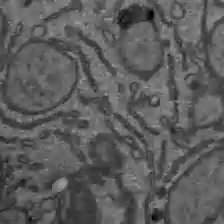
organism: C57BL Mouse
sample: Liver